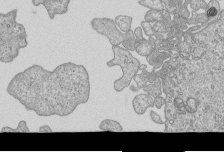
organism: Human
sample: MDA-MB-231 cells